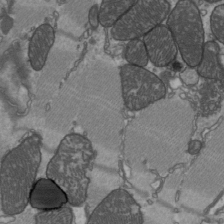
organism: C57BL Mouse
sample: Heart